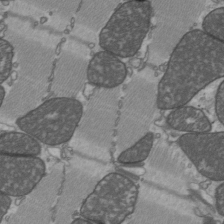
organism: C57BL Mouse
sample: Heart